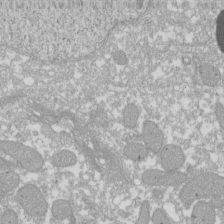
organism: Xenopus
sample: Cilia; centrioles in frog embryo cells